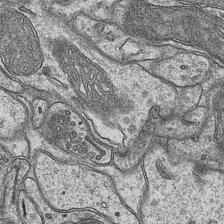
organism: Mouse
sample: CA1 Hippocampus